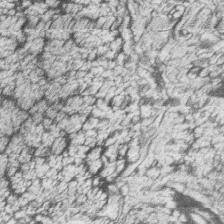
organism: Zebrafish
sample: synaptic ribbons in rod cells and cone cells